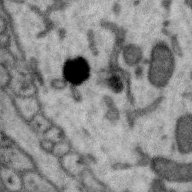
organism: Zebra finch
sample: Brain